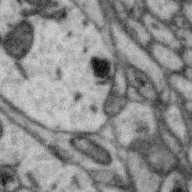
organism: Zebra finch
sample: Brain